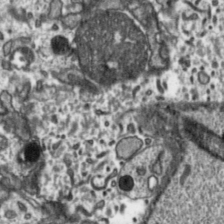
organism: Toxoplasma gondii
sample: Parasites in a vacuole inside a host cell